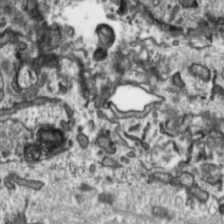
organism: Toxoplasma gondii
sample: Parasites in a vacuole inside a host cell